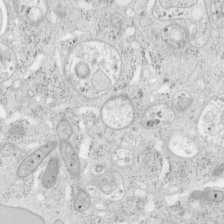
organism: Mouse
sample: OT-I killer T cells with ID8 ovarian cancer cells